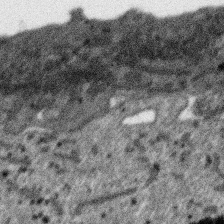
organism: Human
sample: Lung epithelial cells infected with SARS-CoV-2